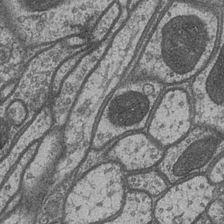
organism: Drosophila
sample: Optic medulla